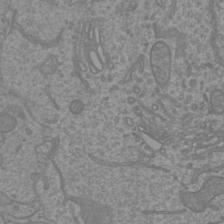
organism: Mouse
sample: Cortical neurons